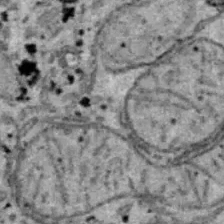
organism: Mouse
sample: Liver from an obese (ob/ob) mouse